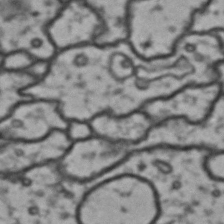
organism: Drosophila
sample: Brain